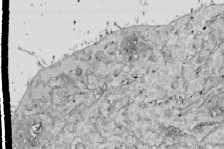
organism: Drosophila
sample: Cell division; meiosis; drosophila spermatocytes